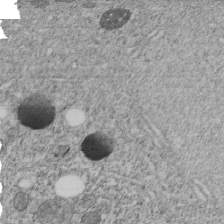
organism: C. elegans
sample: C. elegans embryo early stage